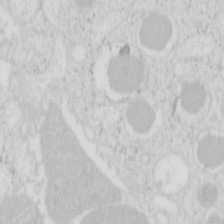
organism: Mouse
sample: Pancreas